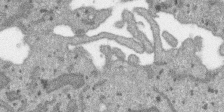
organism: Human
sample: Lung epithelial cells infected with SARS-CoV-2